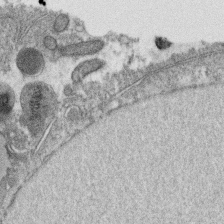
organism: C. elegans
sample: C. elegans oocyte; sperm cells